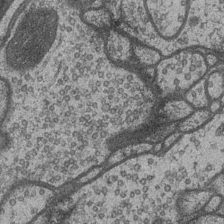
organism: Drosophila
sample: Optic medulla